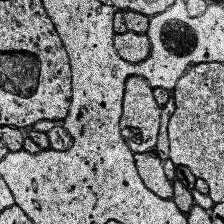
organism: Human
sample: Temporal Lobe